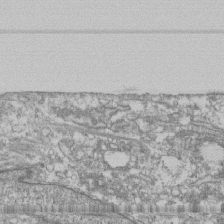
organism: Human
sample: Fibroblast cells